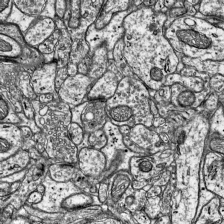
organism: Mouse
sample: Visual Cortex